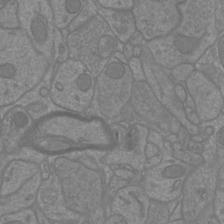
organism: Mouse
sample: Cortical neurons